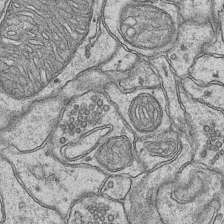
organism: Mouse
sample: CA1 Hippocampus